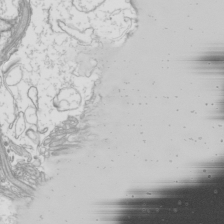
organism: Mouse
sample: Cilia; mouse epididymis